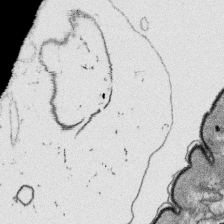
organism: Platynereis dumerilii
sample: Parapodia